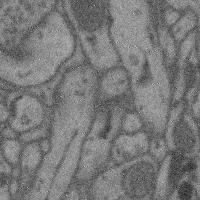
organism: Mouse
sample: Cerebral cortex